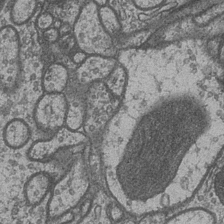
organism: Drosophila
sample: Optic medulla